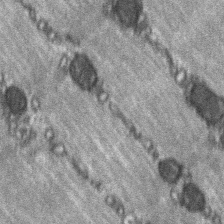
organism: C57BL Mouse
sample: Soleus